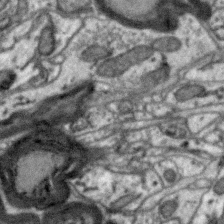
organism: Zebra finch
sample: Brain